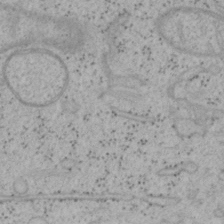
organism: Human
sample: HeLa cells